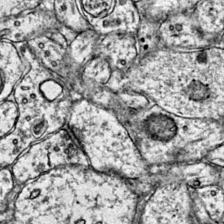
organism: Mouse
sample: Primary visual cortex